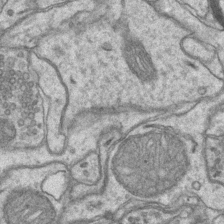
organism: Mouse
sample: CA1 Hippocampus